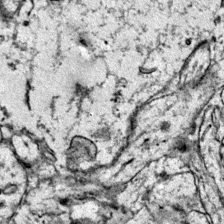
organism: Mouse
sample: Primary visual cortex